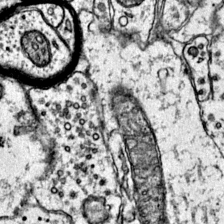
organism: Mouse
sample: Primary visual cortex